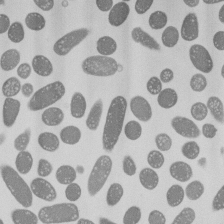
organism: E. coli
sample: Bacterial nucleoid